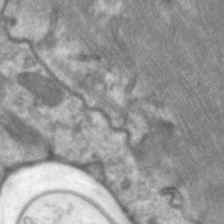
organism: C. elegans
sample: Pharynx